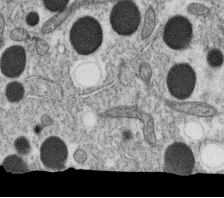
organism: C. elegans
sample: C. elegans oocyte; sperm cells